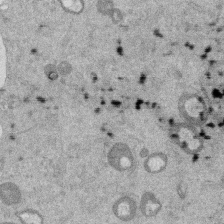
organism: Mouse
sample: Dividing mouse embryo 1 cell stage